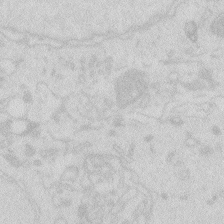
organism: Zebrafish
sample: Macrophage